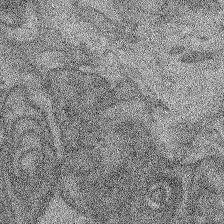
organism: Human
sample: HeLa cells